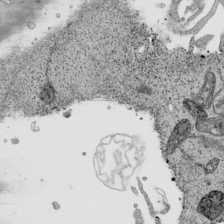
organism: Human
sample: Mitochondria in HCT116 cells